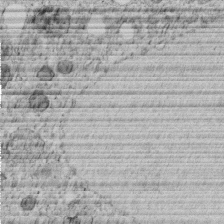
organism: C. elegans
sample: C. elegans embryo early stage